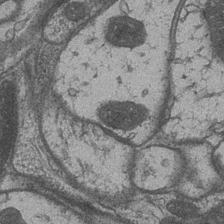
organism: Drosophila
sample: Optic medulla